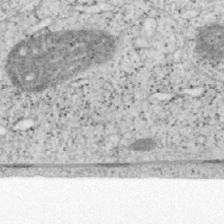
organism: Mouse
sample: OT-I killer T cells with ID8 ovarian cancer cells